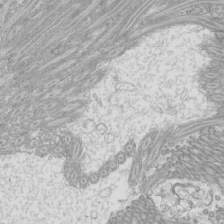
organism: Mouse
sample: Cilia; mouse epididymis